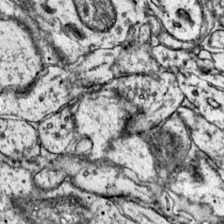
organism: Mouse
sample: Primary visual cortex